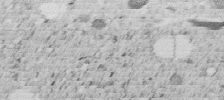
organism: C. elegans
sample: C. elegans embryo early stage